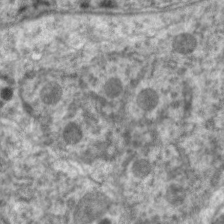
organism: C. elegans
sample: Pharynx